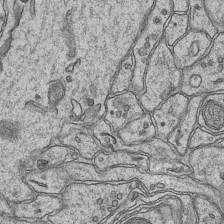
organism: Mouse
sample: CA1 Hippocampus